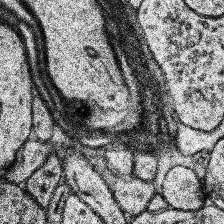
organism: Human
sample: Temporal Lobe